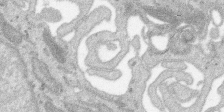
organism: Human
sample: Lung epithelial cells infected with SARS-CoV-2